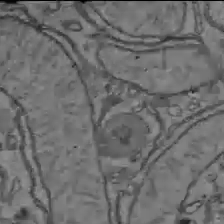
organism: C57BL Mouse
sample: Liver